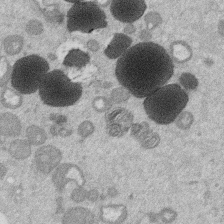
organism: Mouse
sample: Dividing mouse embryo 1 cell stage